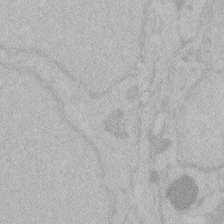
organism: Zebrafish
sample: Macrophage infected with Toxoplasma gondii